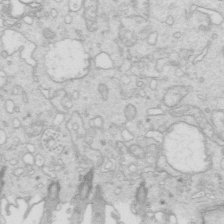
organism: Mouse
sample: Multiciliated cells